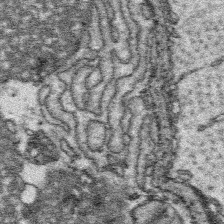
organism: Platynereis dumerilii